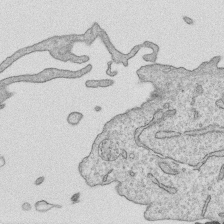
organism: Human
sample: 1205lu cells